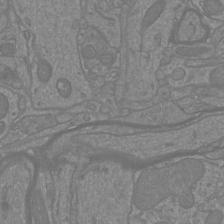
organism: Mouse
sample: Cortical neurons